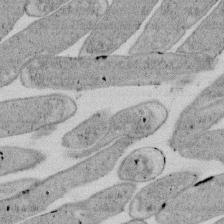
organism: E. coli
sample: Bacterial nucleoid